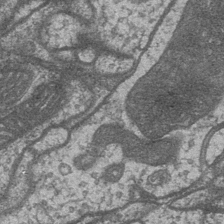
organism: Drosophila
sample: Optic medulla